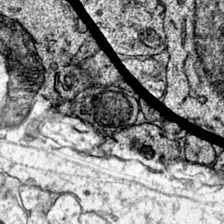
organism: Mouse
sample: Primary visual cortex